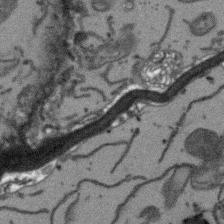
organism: Arabidopsis thaliana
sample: Root tip